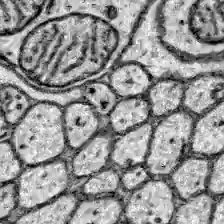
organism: Zebrafish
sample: Brain